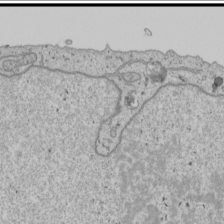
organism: Human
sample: Mitochondria in U2OS cells